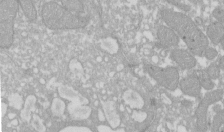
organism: Xenopus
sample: Cilia; centrioles in frog embryo cells